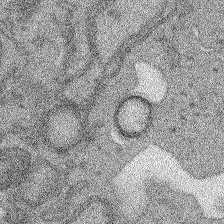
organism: Human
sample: HeLa cells